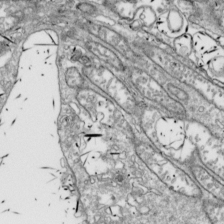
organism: Drosophila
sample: Cell division; meiosis; drosophila spermatocytes